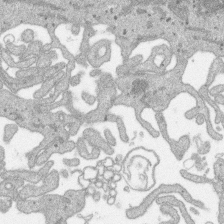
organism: Human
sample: Lung epithelial cells infected with SARS-CoV-2